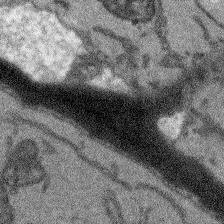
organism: Arabidopsis thaliana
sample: Root tip